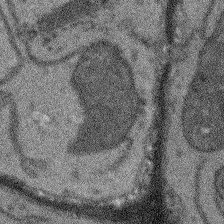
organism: Arabidopsis thaliana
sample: Root tip